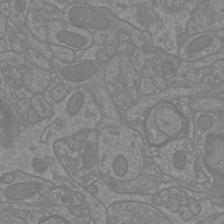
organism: Mouse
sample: Cortical neurons